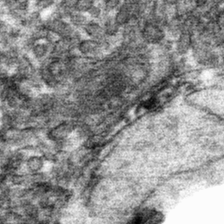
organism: Mouse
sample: Mouse hepatocytes